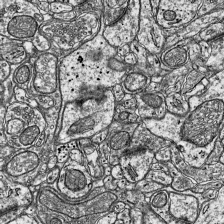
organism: Mouse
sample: Visual Cortex